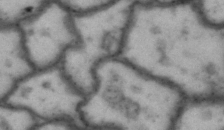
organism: Drosophila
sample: Brain